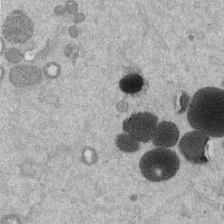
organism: Mouse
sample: Dividing mouse embryo 1 cell stage